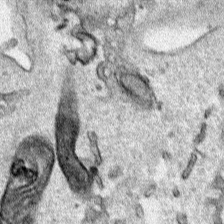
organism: Human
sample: Mitochondria in HCT116 cells